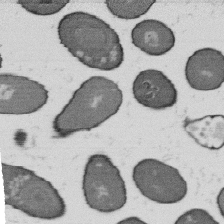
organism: B. subtilis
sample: Bacterial spore